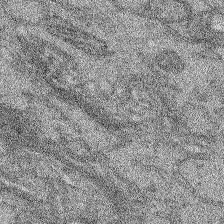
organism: Human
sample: HeLa cells